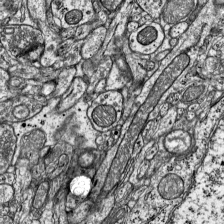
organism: Mouse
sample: Visual Cortex